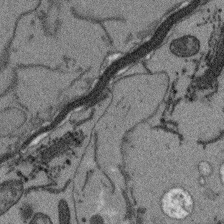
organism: Arabidopsis thaliana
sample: Root tip